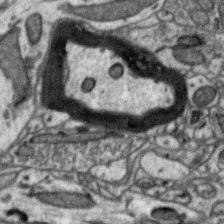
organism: Zebra finch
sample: Brain